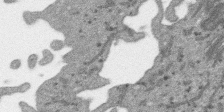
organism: Human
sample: Lung epithelial cells infected with SARS-CoV-2